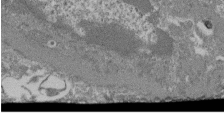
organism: Mouse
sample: Glomerulus